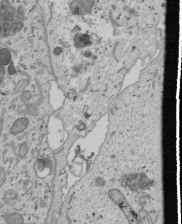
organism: Human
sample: Mitochondria in U2OS cells